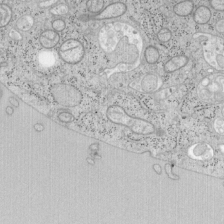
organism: Mouse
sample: OT-I killer T cells with ID8 ovarian cancer cells